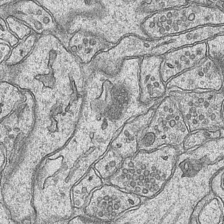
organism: Mouse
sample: CA1 Hippocampus